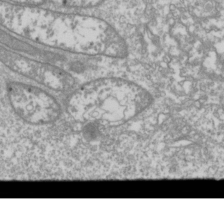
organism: Drosophila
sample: Cell division; meiosis; drosophila spermatocytes